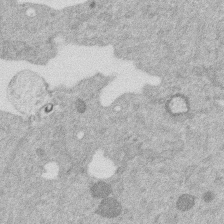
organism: Mouse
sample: Dividing mouse embryo 1 cell stage